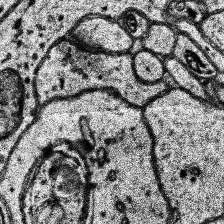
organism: Human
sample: Temporal Lobe